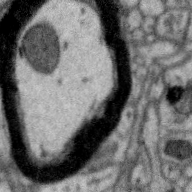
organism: Zebra finch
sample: Brain